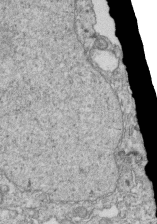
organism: Human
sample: HeLa cell HIV synapse